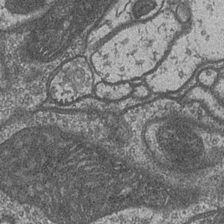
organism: Drosophila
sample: Optic medulla